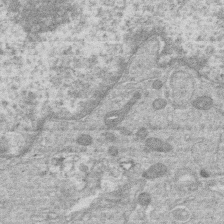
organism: Human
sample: Macrophage cells